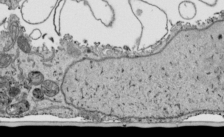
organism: Human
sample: Mitochondria in HCT116 cells